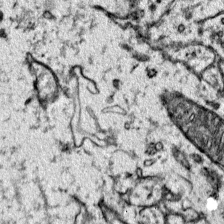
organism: Mouse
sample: Primary visual cortex